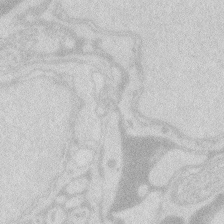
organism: Zebrafish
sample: Macrophage